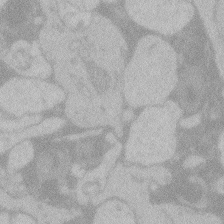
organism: Zebrafish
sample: Macrophage infected with Toxoplasma gondii